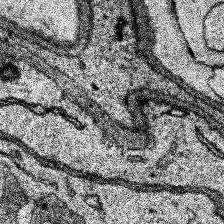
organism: Human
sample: Temporal Lobe